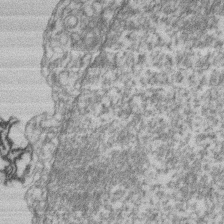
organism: Mouse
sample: T cell stromal cell synapse